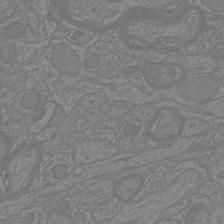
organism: Mouse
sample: Cortical neurons